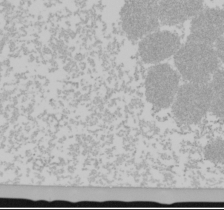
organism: Mouse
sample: Cancer cell death in ED-1 cells